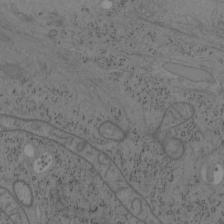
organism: Mouse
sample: OT-I killer T cells with ID8 ovarian cancer cells